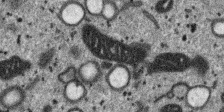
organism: Human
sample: Lung epithelial cells infected with SARS-CoV-2